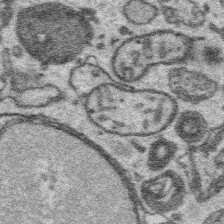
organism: Platynereis dumerilii